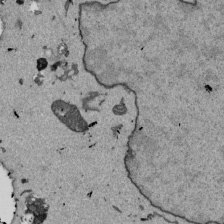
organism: Mouse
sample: ED-1 cell nuclei; centrioles